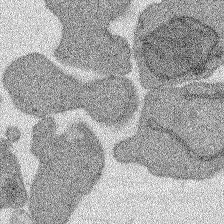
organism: Human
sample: HeLa cells